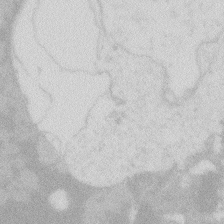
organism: Zebrafish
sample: Macrophage